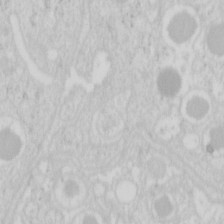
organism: Mouse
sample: Pancreas